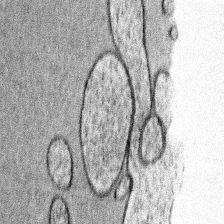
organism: Human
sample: HeLa cells